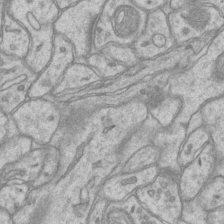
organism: Mouse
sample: CA1 Hippocampus